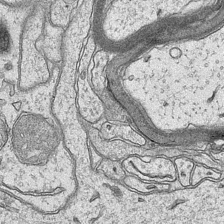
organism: Mouse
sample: CA1 Hippocampus